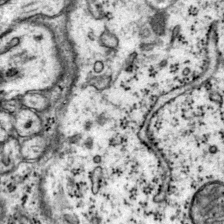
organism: Mouse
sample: Primary visual cortex